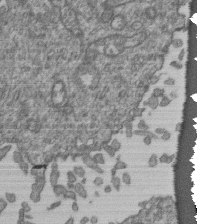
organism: Human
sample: Retinal organoid Rod and Cone cells